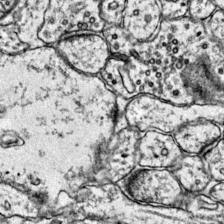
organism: Mouse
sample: Primary visual cortex